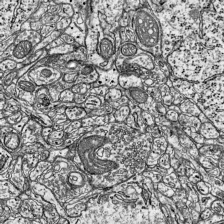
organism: Mouse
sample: Visual Cortex